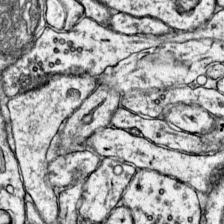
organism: Mouse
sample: Primary visual cortex